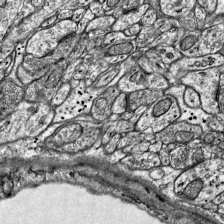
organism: Mouse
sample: Visual Cortex